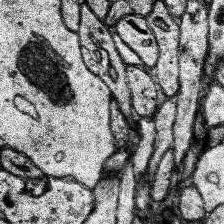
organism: Human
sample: Temporal Lobe